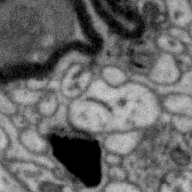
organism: Zebra finch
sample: Brain